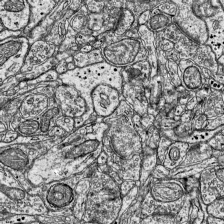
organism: Mouse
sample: Visual Cortex